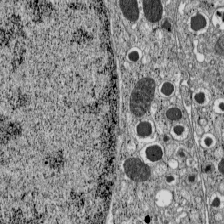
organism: C57BL Mouse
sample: Pancreatic islet